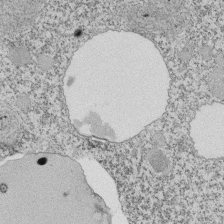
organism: Tetrahymena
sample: Cilia in tetrahymena